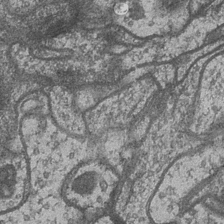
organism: Drosophila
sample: Optic medulla